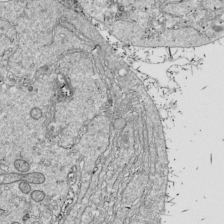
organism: Drosophila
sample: Cell division; meiosis; drosophila spermatocytes